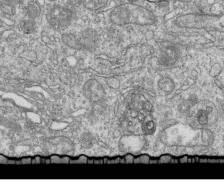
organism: Human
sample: HeLa cell HIV synapse